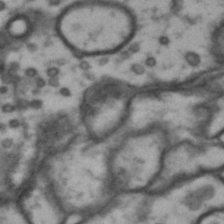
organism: Drosophila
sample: Brain